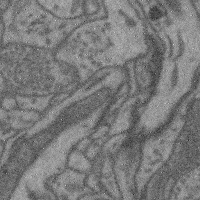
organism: Mouse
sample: Cerebral cortex